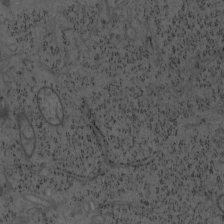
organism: Mouse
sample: OT-I killer T cells with ID8 ovarian cancer cells